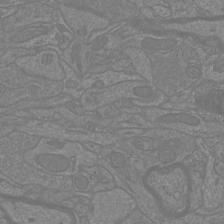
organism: Mouse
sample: Cortical neurons